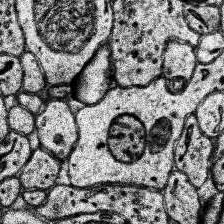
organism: Human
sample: Temporal Lobe